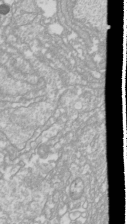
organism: Drosophila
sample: Cell division; meiosis; drosophila spermatocytes